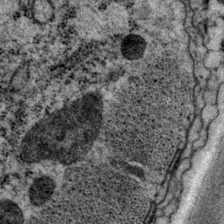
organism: P. pacificus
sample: Pharynx